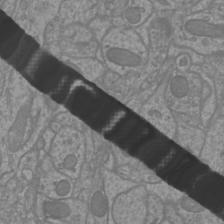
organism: Mouse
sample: Cortical neurons